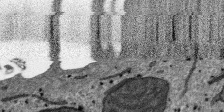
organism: Human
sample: Lung epithelial cells, uninfected (mock) control